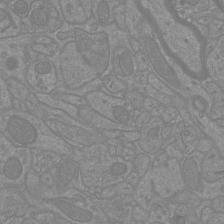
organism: Mouse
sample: Cortical neurons